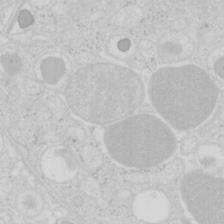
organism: Mouse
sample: Pancreas